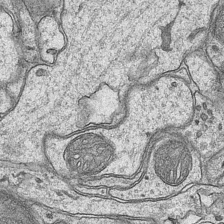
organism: Mouse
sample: CA1 Hippocampus